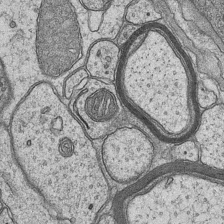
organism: Mouse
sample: CA1 Hippocampus